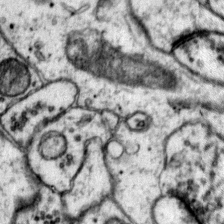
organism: Mouse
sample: Primary visual cortex